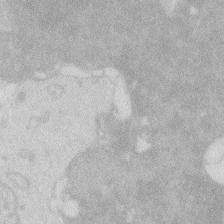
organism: Zebrafish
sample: Macrophage